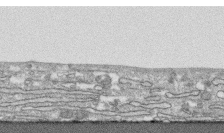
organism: Human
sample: CRL-1474